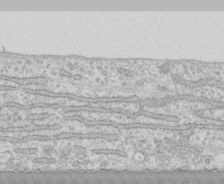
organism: Human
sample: CRL-1474